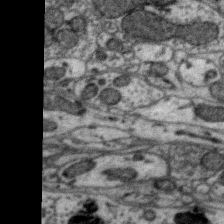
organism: Zebra finch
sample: Brain